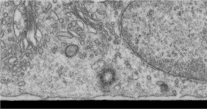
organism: Human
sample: Centriole in RPE cells